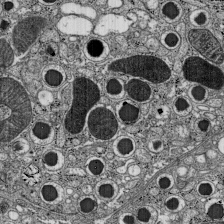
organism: C57BL Mouse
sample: Pancreatic islet